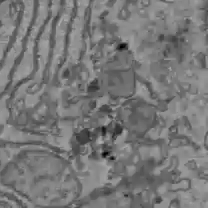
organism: C57BL Mouse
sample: Liver